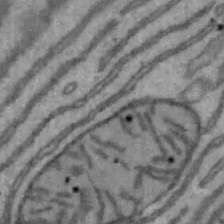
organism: Mouse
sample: Liver